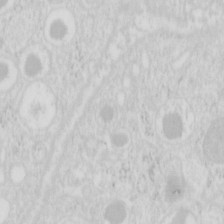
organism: Mouse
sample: Pancreas